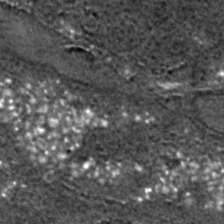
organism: C. elegans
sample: C. elegans embryo